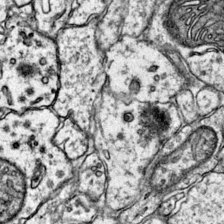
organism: Mouse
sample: Primary visual cortex